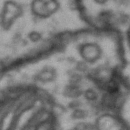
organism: Drosophila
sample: Brain